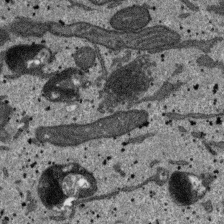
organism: Human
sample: Lung epithelial cells, uninfected (mock) control